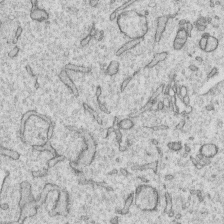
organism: Human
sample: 1205lu cells